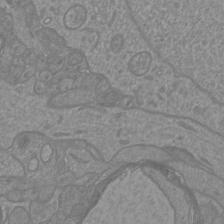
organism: Mouse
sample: Cortical neurons